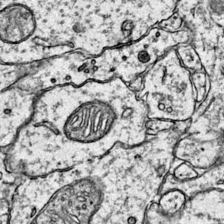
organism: Mouse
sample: Primary visual cortex